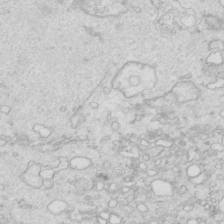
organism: Mouse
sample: Multiciliated cells